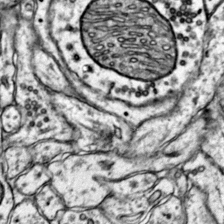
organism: Mouse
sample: Primary visual cortex